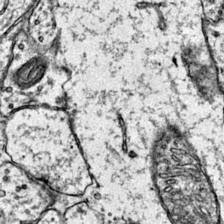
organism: Mouse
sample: Primary visual cortex